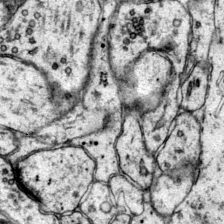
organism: Mouse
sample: Primary visual cortex